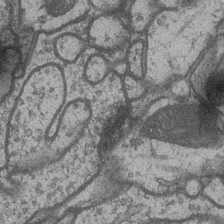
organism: Drosophila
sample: Optic medulla